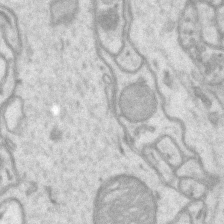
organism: Mouse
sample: CA1 Hippocampus